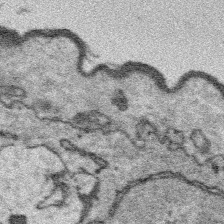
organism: Platynereis dumerilii